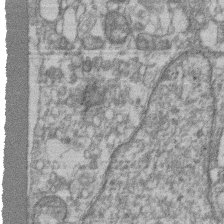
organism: Mouse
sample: T cell stromal cell synapse